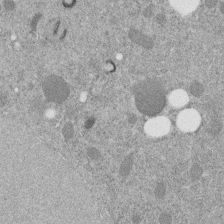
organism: C. elegans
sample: C. elegans embryo early stage